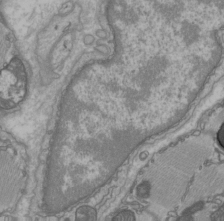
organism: C57BL Mouse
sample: Heart